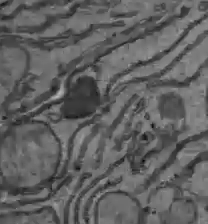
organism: C57BL Mouse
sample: Liver